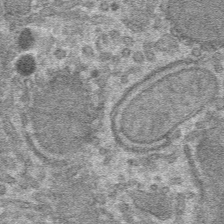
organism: Mouse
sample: Mouse hepatocytes